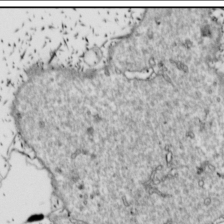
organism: Drosophila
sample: Cell division; meiosis; drosophila spermatocytes